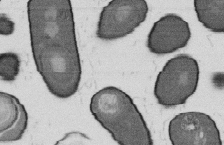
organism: B. subtilis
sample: Bacterial spore